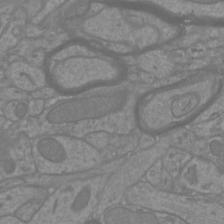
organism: Mouse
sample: Cortical neurons